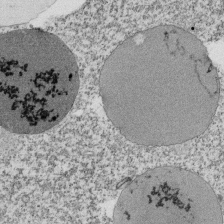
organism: Tetrahymena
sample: Cilia in tetrahymena